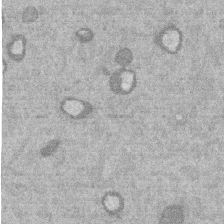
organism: Mouse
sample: Dividing mouse embryo 1 cell stage